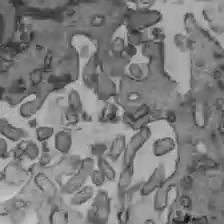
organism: C57BL Mouse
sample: Liver